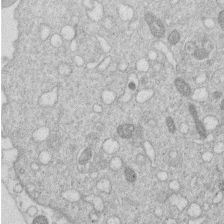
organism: Human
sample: Macrophage cells